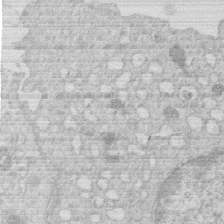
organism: Human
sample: Macrophage cells